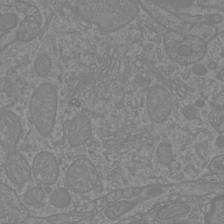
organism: Mouse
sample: Cortical neurons